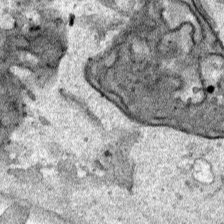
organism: Human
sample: Mitochondria in HCT116 cells